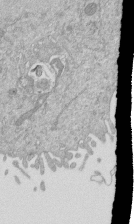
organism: Mouse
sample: ED-1 cell nuclei; centrioles